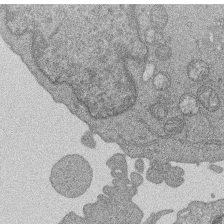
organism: Human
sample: MDA-MB-231 cells